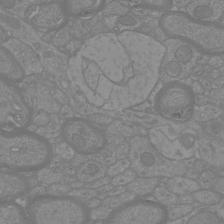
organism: Mouse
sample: Cortical neurons